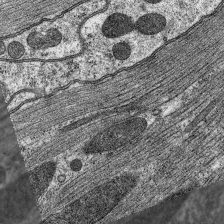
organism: C. elegans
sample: Pharynx